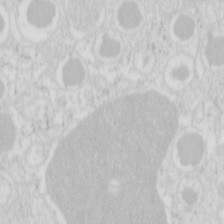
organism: Mouse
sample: Pancreas